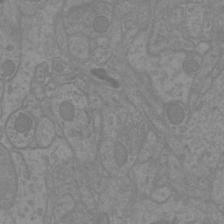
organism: Mouse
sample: Cortical neurons